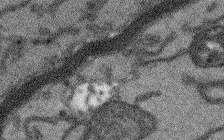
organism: Arabidopsis thaliana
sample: Root tip